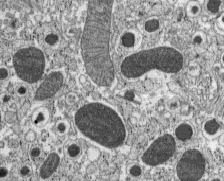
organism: C57BL Mouse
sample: Pancreatic islet